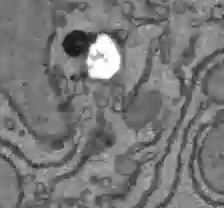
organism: C57BL Mouse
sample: Liver